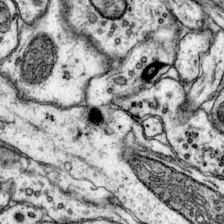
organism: Mouse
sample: Primary visual cortex